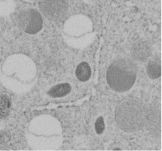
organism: C. elegans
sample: C. elegans embryo early stage